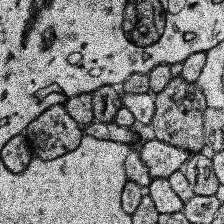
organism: Human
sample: Temporal Lobe